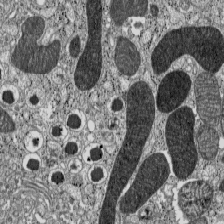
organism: C57BL Mouse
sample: Pancreatic islet